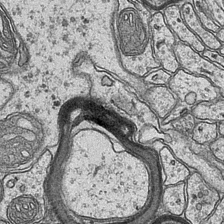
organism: Mouse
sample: CA1 Hippocampus